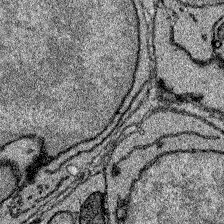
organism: Zebrafish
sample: Larval olfactory bulb